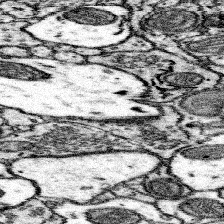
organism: Mouse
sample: Somatosensory cortex neuropil